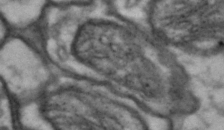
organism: Drosophila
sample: Brain